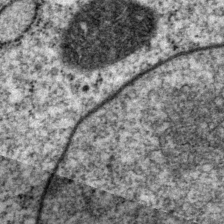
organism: P. pacificus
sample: Pharynx